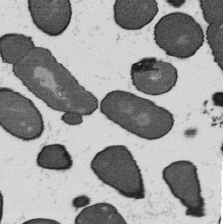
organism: B. subtilis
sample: Bacterial spore